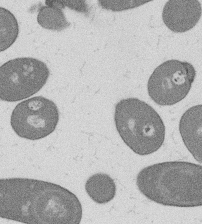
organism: B. subtilis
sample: Bacterial spore